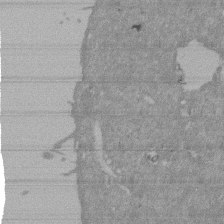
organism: Mouse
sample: ED-1 cell nuclei; centrioles